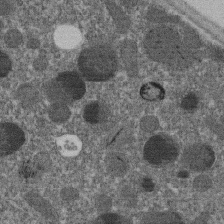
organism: C. elegans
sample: C. elegans embryo early stage